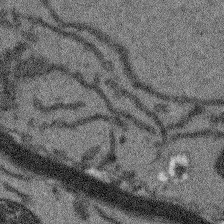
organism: Arabidopsis thaliana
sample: Root tip